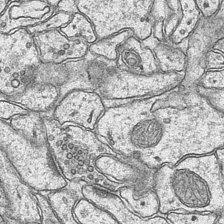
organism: Mouse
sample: CA1 Hippocampus